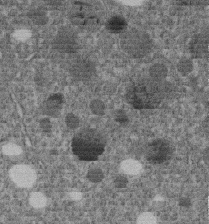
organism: C. elegans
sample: C. elegans embryo early stage